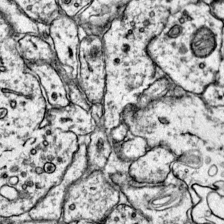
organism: Mouse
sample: Primary visual cortex